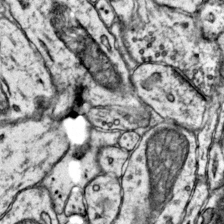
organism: Mouse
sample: Primary visual cortex